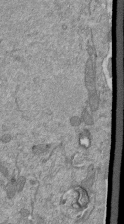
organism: Mouse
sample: ED-1 cell nuclei; centrioles